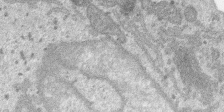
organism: Human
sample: Lung epithelial cells infected with SARS-CoV-2